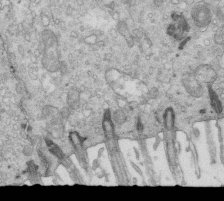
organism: Mouse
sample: Multiciliated cells